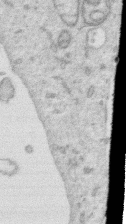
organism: Human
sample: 1205lu cells